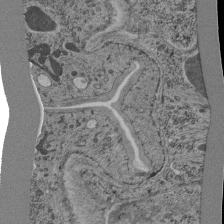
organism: C. elegans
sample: C. elegans pharynx